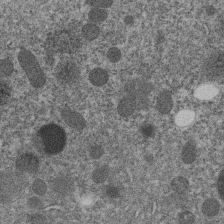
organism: C. elegans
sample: C. elegans embryo early stage